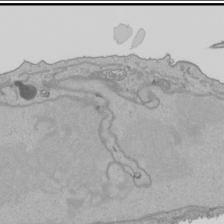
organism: Human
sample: Mitochondria in HCT116 cells